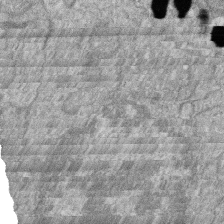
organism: Zebrafish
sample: Cilia; retinal pigment epithelium